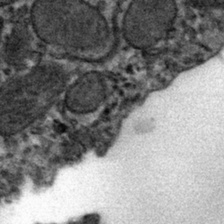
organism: Mouse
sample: Mouse hepatocytes